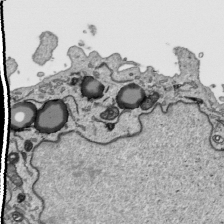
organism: Human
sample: Mitochondria in HCT116 cells